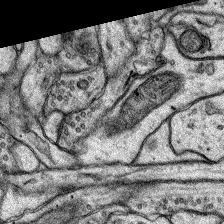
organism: Rat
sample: Hippocampus